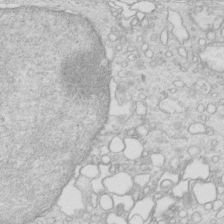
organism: Mouse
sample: Multiciliated cells